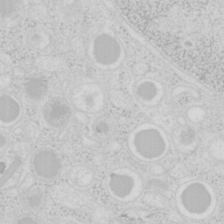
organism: Mouse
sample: Pancreas